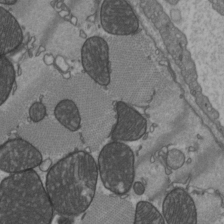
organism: C57BL Mouse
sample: Heart